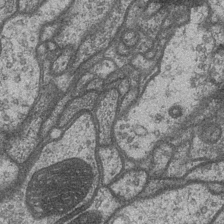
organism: Drosophila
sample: Optic medulla